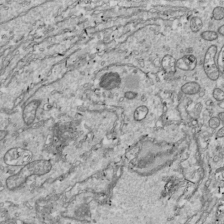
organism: Drosophila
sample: Cell division; meiosis; drosophila spermatocytes